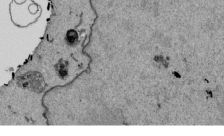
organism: Mouse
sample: ED-1 cell nuclei; centrioles